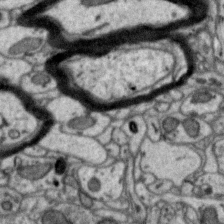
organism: Zebra finch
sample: Brain